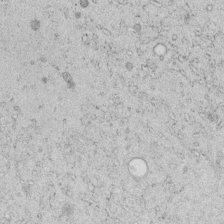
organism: C. elegans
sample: C. elegans embryo early stage